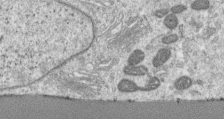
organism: Human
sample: Centriole in RPE cells